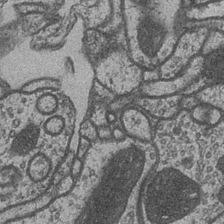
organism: Drosophila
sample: Optic medulla